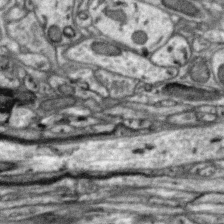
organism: Zebra finch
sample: Brain